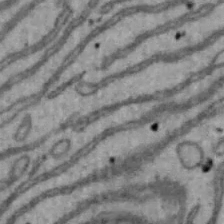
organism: Mouse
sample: Liver